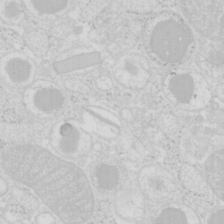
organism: Mouse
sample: Pancreas